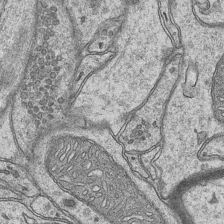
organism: Mouse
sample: CA1 Hippocampus